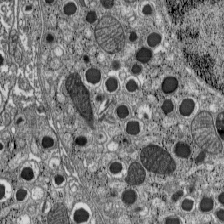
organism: C57BL Mouse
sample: Pancreatic islet